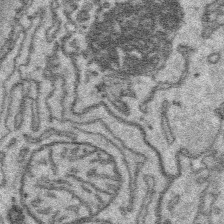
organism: Platynereis dumerilii